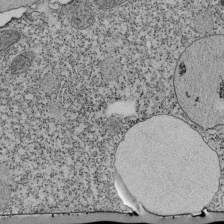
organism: Tetrahymena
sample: Cilia in tetrahymena